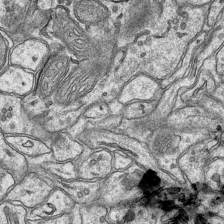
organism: Mouse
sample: CA1 Hippocampus